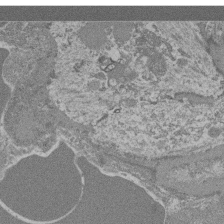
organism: Mouse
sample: Glomerulus